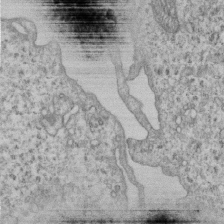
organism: Human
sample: MDA-MB-231 cells